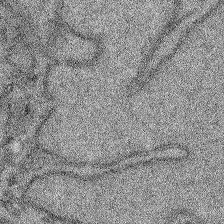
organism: Human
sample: HeLa cells